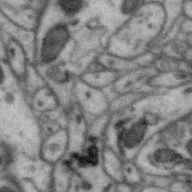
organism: Zebra finch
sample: Brain